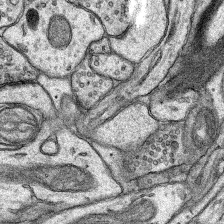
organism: Rat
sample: Hippocampus